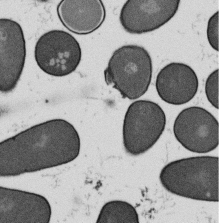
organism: B. subtilis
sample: Bacterial spore